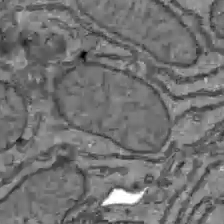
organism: C57BL Mouse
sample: Liver